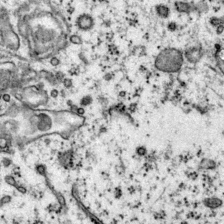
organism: Mouse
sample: Primary visual cortex